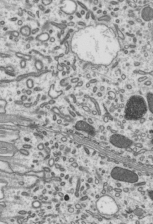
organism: Mouse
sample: Mouse epididymis efferent ductule cilia